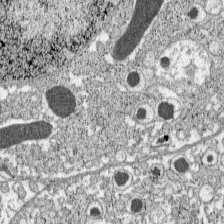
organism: C57BL Mouse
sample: Pancreatic islet